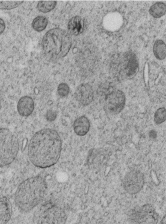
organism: C. elegans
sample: C. elegans embryo early stage